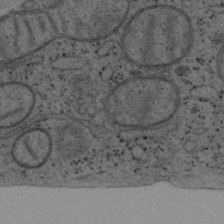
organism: Human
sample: HeLa cells